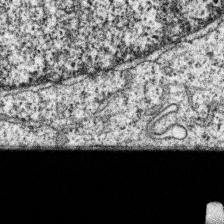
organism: Human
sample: HeLa cells